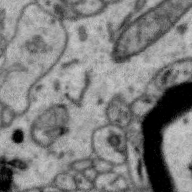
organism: Zebra finch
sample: Brain